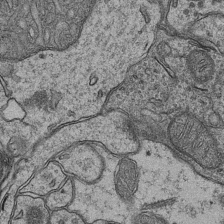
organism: Mouse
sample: CA1 Hippocampus